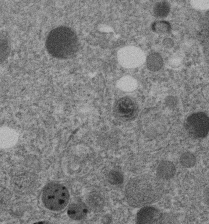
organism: C. elegans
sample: C. elegans embryo early stage